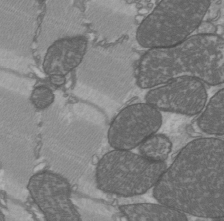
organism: C57BL Mouse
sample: Heart